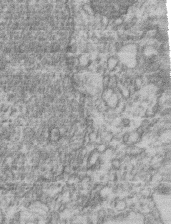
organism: Mouse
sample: T cell stromal cell synapse